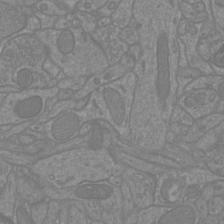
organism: Mouse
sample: Cortical neurons